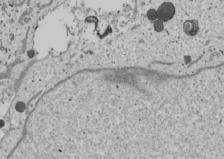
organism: Human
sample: Mitochondria in U2OS cells